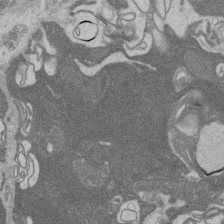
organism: Rat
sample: Salivary granule